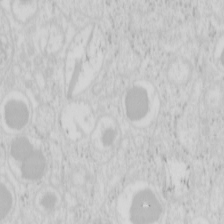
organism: Mouse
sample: Pancreas